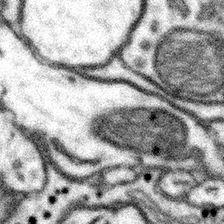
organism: Mouse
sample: Somatosensory cortex neuropil